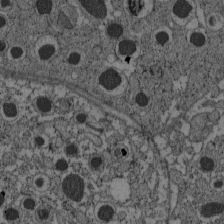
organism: C57BL Mouse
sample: Pancreatic islet